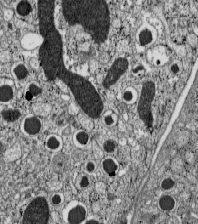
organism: C57BL Mouse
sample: Pancreatic islet